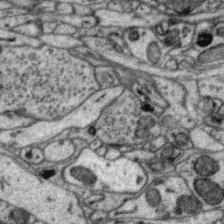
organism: Zebra finch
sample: Brain